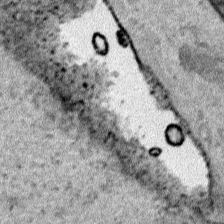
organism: Human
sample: Mitochondria in HCT116 cells